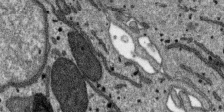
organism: Human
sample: Lung epithelial cells, uninfected (mock) control